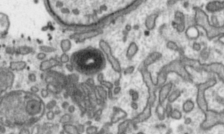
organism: Toxoplasma gondii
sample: Parasites in a vacuole inside a host cell